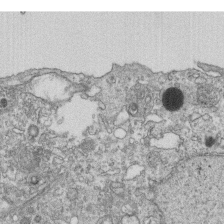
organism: Human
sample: HeLa cell HIV synapse